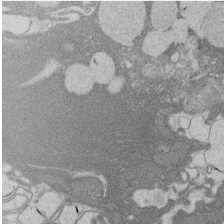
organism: Rat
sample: Salivary granule